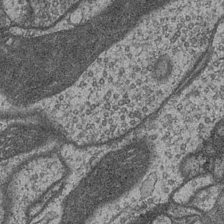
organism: Drosophila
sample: Optic medulla